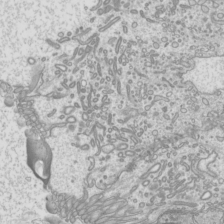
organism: Mouse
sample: Cilia; mouse epididymis